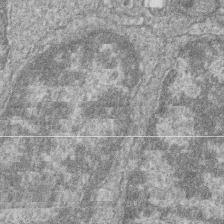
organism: Zebrafish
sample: Cilia; retinal pigment epithelium